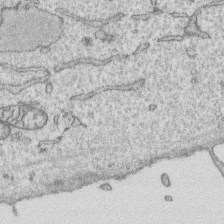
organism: Human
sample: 1205lu cells